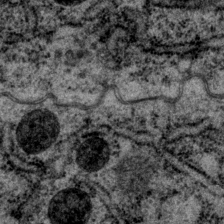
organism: P. pacificus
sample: Pharynx